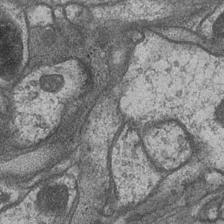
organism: Drosophila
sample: Optic medulla